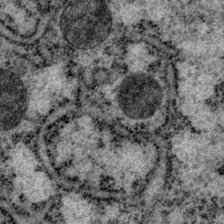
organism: P. pacificus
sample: Pharynx